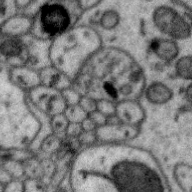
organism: Zebra finch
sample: Brain